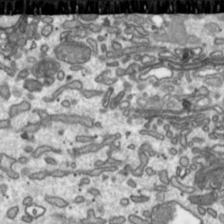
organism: Toxoplasma gondii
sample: Parasites in a vacuole inside a host cell